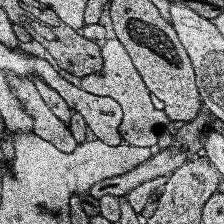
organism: Human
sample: Temporal Lobe